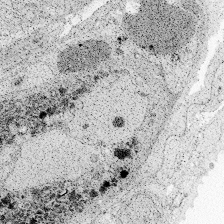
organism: Zebrafish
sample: Whole-Brain